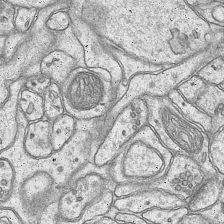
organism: Mouse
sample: CA1 Hippocampus